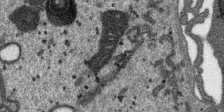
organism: Human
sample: Lung epithelial cells infected with SARS-CoV-2